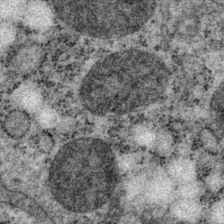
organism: P. pacificus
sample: Pharynx